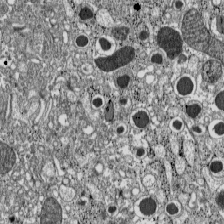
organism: C57BL Mouse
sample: Pancreatic islet